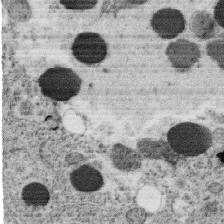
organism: C. elegans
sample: C. elegans oocyte; sperm cells